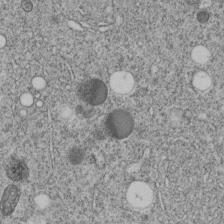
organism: C. elegans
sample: C. elegans embryo early stage